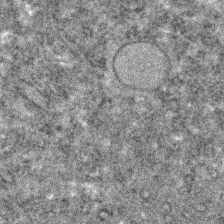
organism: C. elegans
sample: C. elegans embryo